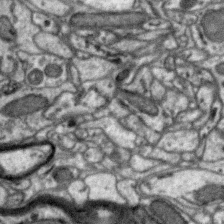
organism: Zebra finch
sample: Brain